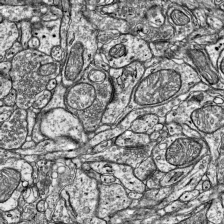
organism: Mouse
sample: Visual Cortex